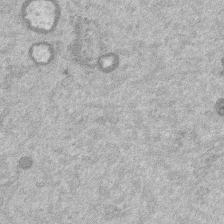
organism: Mouse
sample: Dividing mouse embryo 1 cell stage